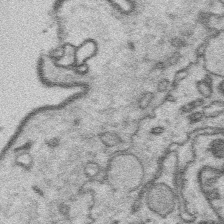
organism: Platynereis dumerilii